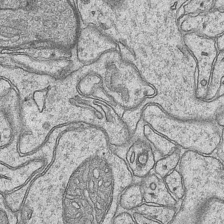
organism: Mouse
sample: CA1 Hippocampus